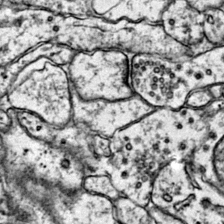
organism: Mouse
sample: Primary visual cortex